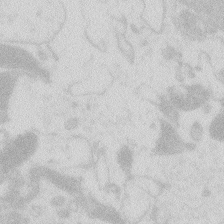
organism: Zebrafish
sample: Macrophage